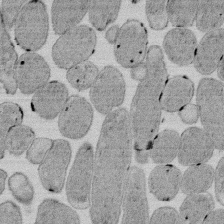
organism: E. coli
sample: Bacterial nucleoid